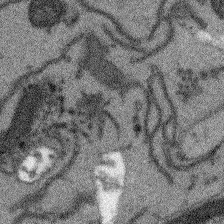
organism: Arabidopsis thaliana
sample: Root tip